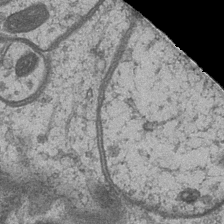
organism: Drosophila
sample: Optic medulla